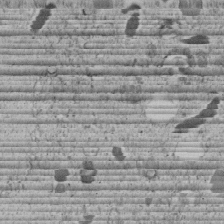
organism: C. elegans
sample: C. elegans embryo early stage